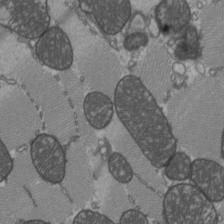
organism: C57BL Mouse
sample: Heart